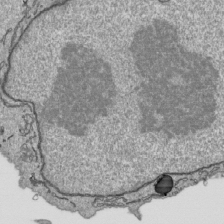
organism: Human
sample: Mitochondria in HCT116 cells